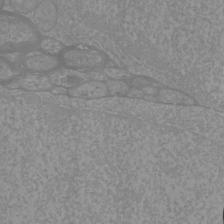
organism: Mouse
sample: Cortical neurons